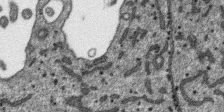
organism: Human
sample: Lung epithelial cells infected with SARS-CoV-2